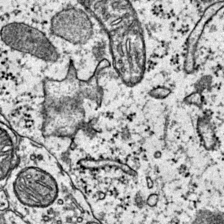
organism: Mouse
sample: Primary visual cortex